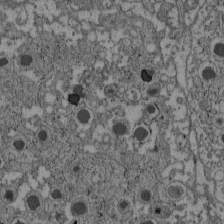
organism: C57BL Mouse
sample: Pancreatic islet